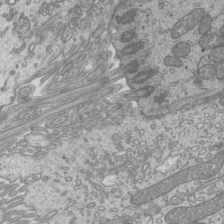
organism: Mouse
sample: Cilia; mouse epididymis